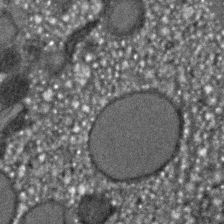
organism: C. elegans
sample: C. elegans embryo